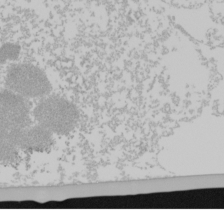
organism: Mouse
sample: Cancer cell death in ED-1 cells